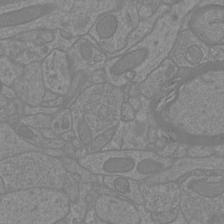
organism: Mouse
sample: Cortical neurons